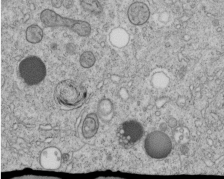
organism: C. elegans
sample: C. elegans embryo early stage